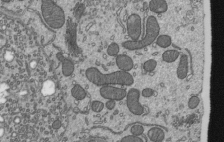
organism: Mouse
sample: Mouse epididymis efferent ductule cilia